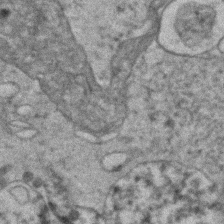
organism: Human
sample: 1205lu cells